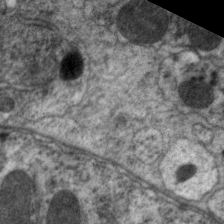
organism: C. elegans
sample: Pharynx